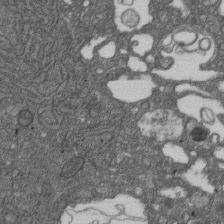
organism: Drosophila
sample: Nephrocyte